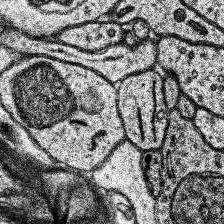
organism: Human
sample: Temporal Lobe